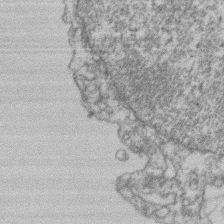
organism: Mouse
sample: T cell stromal cell synapse